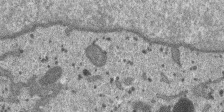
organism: Human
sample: Lung epithelial cells infected with SARS-CoV-2